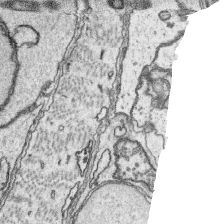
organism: Platynereis dumerilii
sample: Parapodia